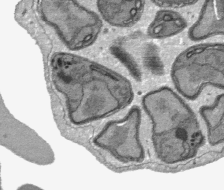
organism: Plasmodium falciparum